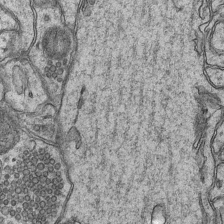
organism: Mouse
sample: CA1 Hippocampus